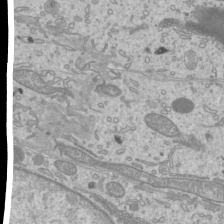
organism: Mouse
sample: Cilia; mouse epididymis